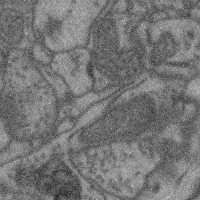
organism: Mouse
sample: Cerebral cortex